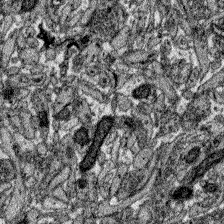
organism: Zebrafish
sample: Larval olfactory bulb